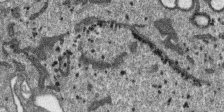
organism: Human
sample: Lung epithelial cells infected with SARS-CoV-2